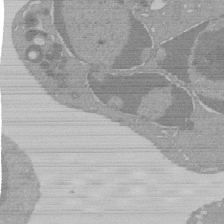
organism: Mouse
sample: Activated Pmel transgenic CD8+ T Cells